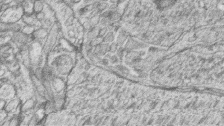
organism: Zebrafish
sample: synaptic ribbons in rod cells and cone cells